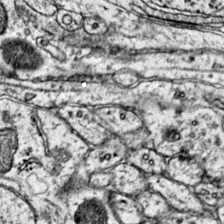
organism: Mouse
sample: Primary visual cortex